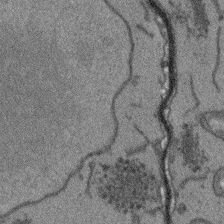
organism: Arabidopsis thaliana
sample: Root tip